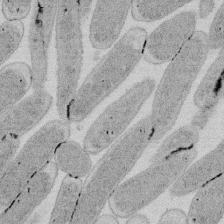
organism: E. coli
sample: Bacterial nucleoid